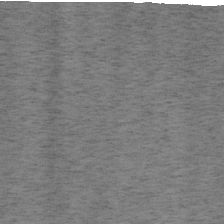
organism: Mouse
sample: OT-I killer T cells with ID8 ovarian cancer cells